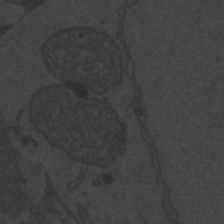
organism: Zebrafish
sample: Macrophage infected with Toxoplasma gondii